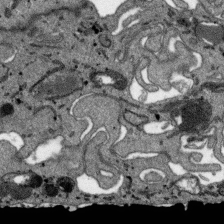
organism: Human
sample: Lung epithelial cells, uninfected (mock) control